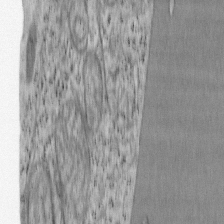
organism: Human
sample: HeLa cells